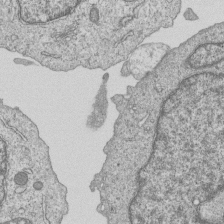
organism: Human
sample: MDA-MB-231 cells